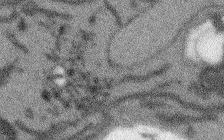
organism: Arabidopsis thaliana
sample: Root tip